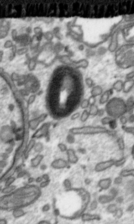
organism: Toxoplasma gondii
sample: Parasites in a vacuole inside a host cell